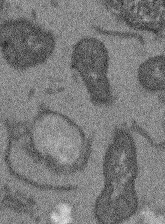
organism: Arabidopsis thaliana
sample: Root tip